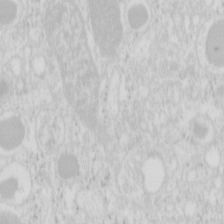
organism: Mouse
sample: Pancreas